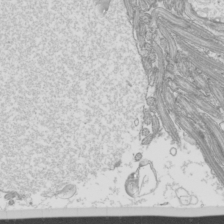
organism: Mouse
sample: Cilia; mouse epididymis